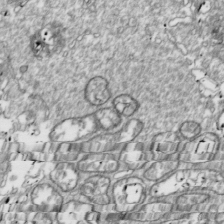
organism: Drosophila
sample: Cell division; meiosis; drosophila spermatocytes